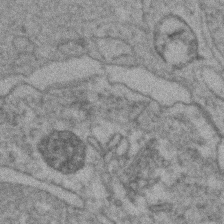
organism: Zebrafish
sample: Zebrafish embryo